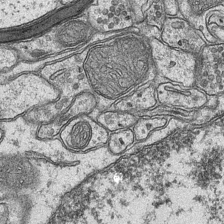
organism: Mouse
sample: CA1 Hippocampus